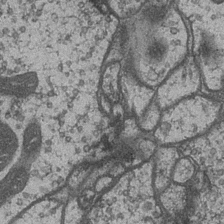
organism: Drosophila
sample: Optic medulla